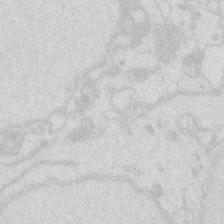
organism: Zebrafish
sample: Macrophage